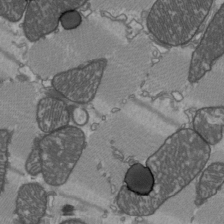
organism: C57BL Mouse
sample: Heart